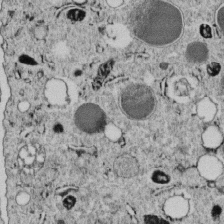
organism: C. elegans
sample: C. elegans embryo early stage